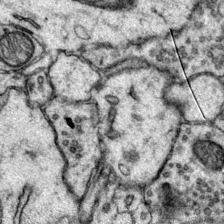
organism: Mouse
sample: Primary visual cortex